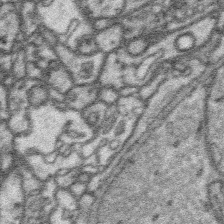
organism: Platynereis dumerilii